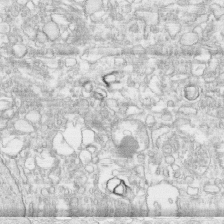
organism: Human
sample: CRL-1474